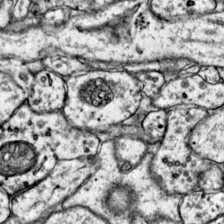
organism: Mouse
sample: Primary visual cortex